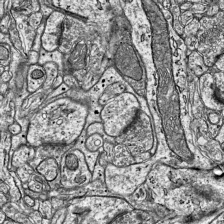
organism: Mouse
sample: Visual Cortex